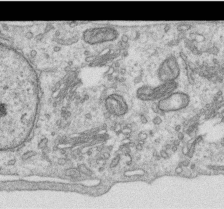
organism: Human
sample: Centriole in RPE cells